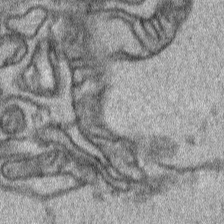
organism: Human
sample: Mitochondria in HCT116 cells